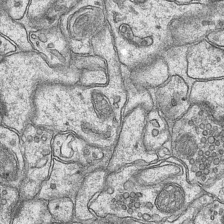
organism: Mouse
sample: CA1 Hippocampus